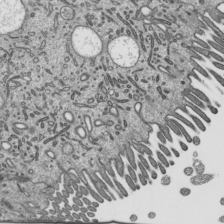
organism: Mouse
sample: Mouse epididymis efferent ductule cilia